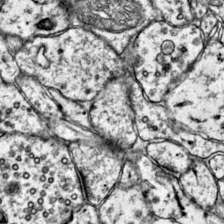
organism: Mouse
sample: Primary visual cortex